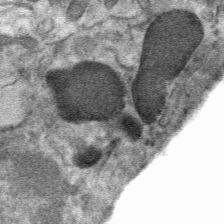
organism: Mouse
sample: Mouse hepatocytes